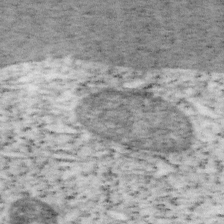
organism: Mouse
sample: OT-I killer T cells with ID8 ovarian cancer cells